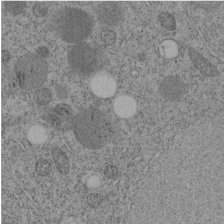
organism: C. elegans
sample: C. elegans embryo early stage